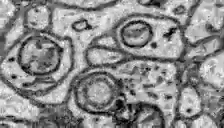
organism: Zebrafish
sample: Brain